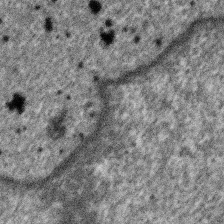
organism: Human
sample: Lung epithelial cells infected with SARS-CoV-2